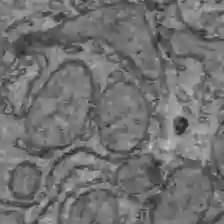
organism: C57BL Mouse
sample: Liver